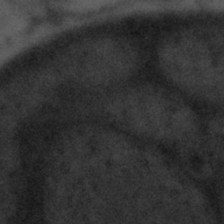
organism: Tuwongella immobilis